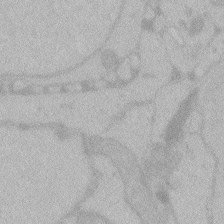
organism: Zebrafish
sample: Macrophage infected with Toxoplasma gondii